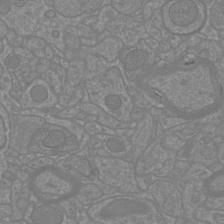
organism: Mouse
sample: Cortical neurons